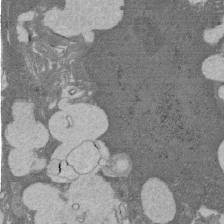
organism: Rat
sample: Salivary granule